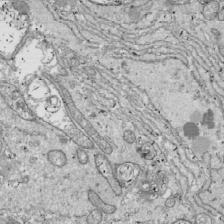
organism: Drosophila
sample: Cell division; meiosis; drosophila spermatocytes